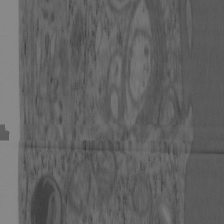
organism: Human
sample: HeLa cells